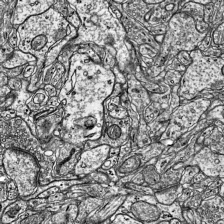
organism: Mouse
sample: Visual Cortex